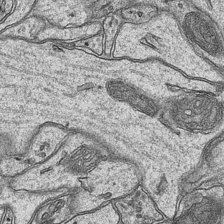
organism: Mouse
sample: CA1 Hippocampus